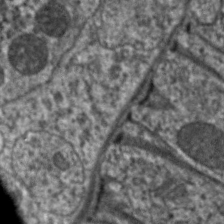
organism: C. elegans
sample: Pharynx